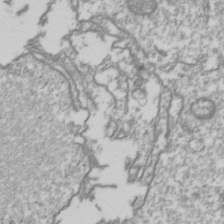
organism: Drosophila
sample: Cell division; meiosis; drosophila spermatocytes